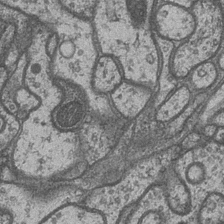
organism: Drosophila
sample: Optic medulla